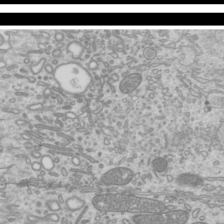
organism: Mouse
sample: Cilia; mouse epididymis